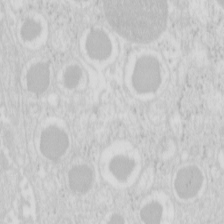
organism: Mouse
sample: Pancreas